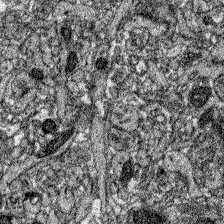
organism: Zebrafish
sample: Larval olfactory bulb